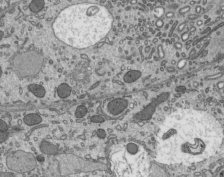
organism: Mouse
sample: Mouse epididymis efferent ductule cilia